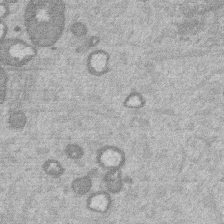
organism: Mouse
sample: Dividing mouse embryo 1 cell stage